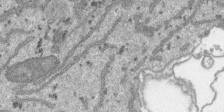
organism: Human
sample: Lung epithelial cells infected with SARS-CoV-2